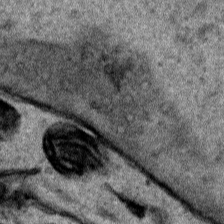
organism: Human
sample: Mitochondria in HCT116 cells